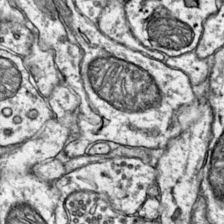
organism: Mouse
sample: Primary visual cortex